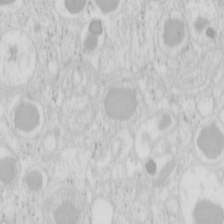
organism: Mouse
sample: Pancreas